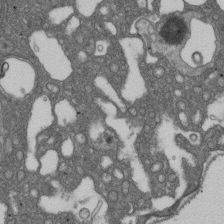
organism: Drosophila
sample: Nephrocyte